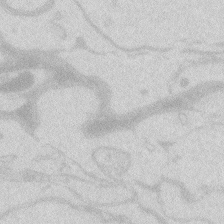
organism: Zebrafish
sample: Macrophage